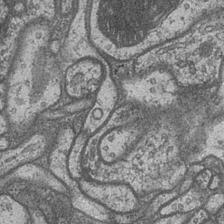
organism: Drosophila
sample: Optic medulla